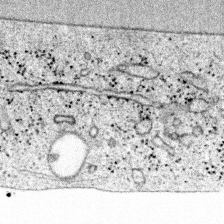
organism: Human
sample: HeLa cells